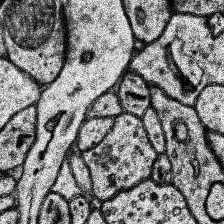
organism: Human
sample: Temporal Lobe